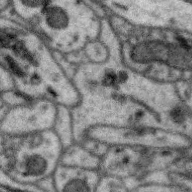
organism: Zebra finch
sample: Brain